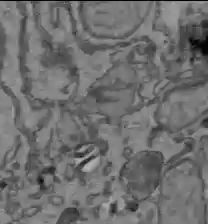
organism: C57BL Mouse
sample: Liver